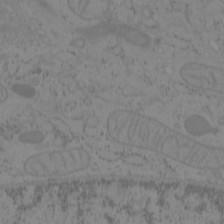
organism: Human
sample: HeLa cells